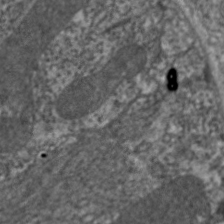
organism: C. elegans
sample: Pharynx